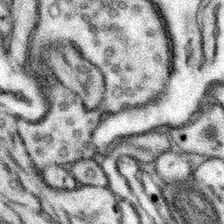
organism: Mouse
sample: Somatosensory cortex neuropil